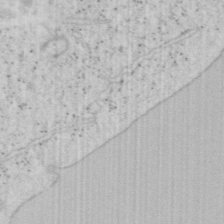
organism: Human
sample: HeLa cells